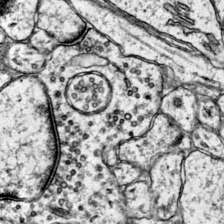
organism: Mouse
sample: Primary visual cortex